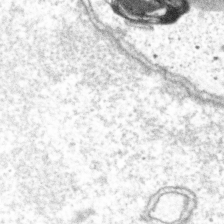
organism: Human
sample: HeLa cells